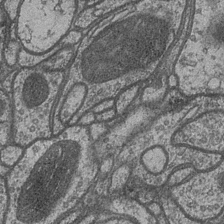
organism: Drosophila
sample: Optic medulla